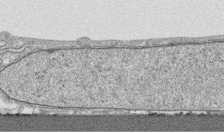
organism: Human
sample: CRL-1474